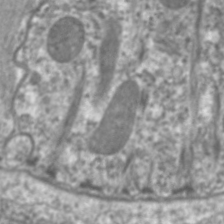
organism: C. elegans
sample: Pharynx